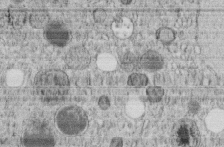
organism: C. elegans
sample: C. elegans embryo early stage